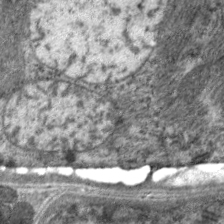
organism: C. elegans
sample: Pharynx